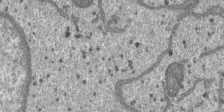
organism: Human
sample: Lung epithelial cells infected with SARS-CoV-2